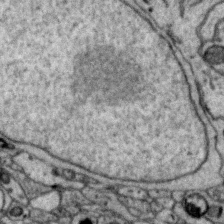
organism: Zebra finch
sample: Brain